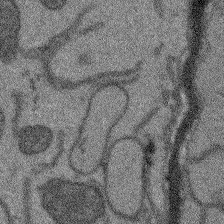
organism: Arabidopsis thaliana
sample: Root tip